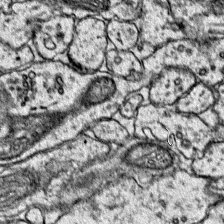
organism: Mouse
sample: Primary visual cortex